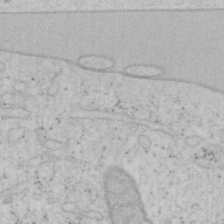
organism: Human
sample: HeLa cells